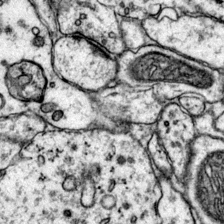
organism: Mouse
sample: Primary visual cortex